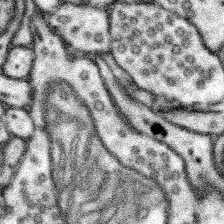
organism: Mouse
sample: Somatosensory cortex neuropil